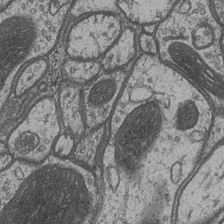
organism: Drosophila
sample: Optic medulla